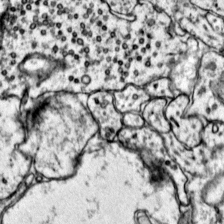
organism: Mouse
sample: Primary visual cortex